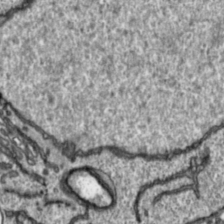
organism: Toxoplasma gondii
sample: Parasites in a vacuole inside a host cell